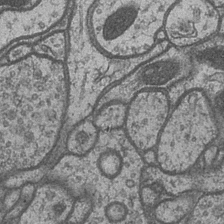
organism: Drosophila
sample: Optic medulla